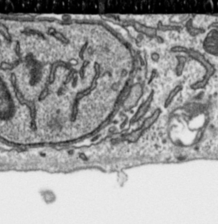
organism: Toxoplasma gondii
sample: Parasites in a vacuole inside a host cell